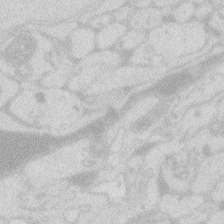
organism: Zebrafish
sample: Macrophage